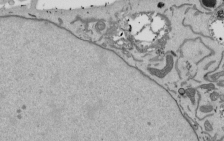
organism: Mouse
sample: ED-1 cell nuclei; centrioles